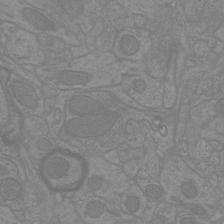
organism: Mouse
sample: Cortical neurons